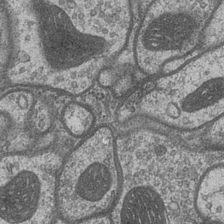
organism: Drosophila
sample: Optic medulla